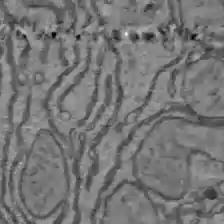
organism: C57BL Mouse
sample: Liver